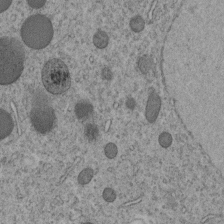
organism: C. elegans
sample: C. elegans embryo early stage